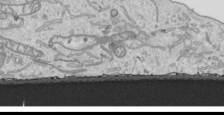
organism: Human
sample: Mitochondria in HCT116 cells